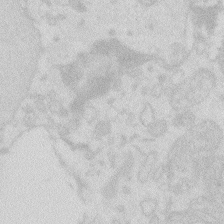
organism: Zebrafish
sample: Macrophage